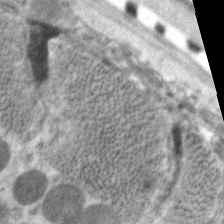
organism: C. elegans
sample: Pharynx